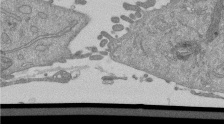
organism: Mouse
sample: ED-1 cell nuclei; centrioles